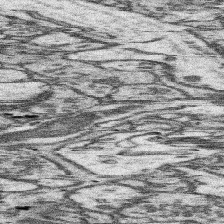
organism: Mouse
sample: Somatosensory cortex neuropil